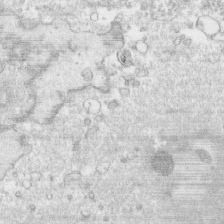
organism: Human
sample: CRL-1474